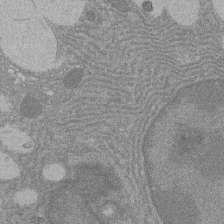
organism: Rat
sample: Salivary granule